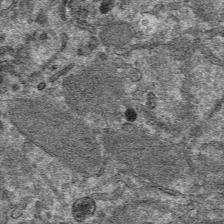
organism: Mouse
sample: Mouse hepatocytes